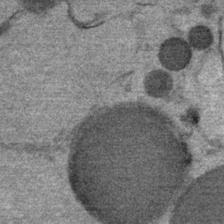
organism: Mouse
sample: Mouse Salivary gland